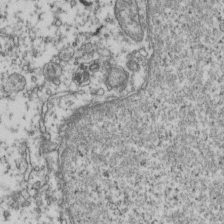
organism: Human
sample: Activated Jurkat CD4+ T cells